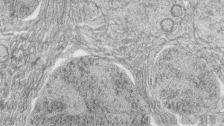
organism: Zebrafish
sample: synaptic ribbons in rod cells and cone cells